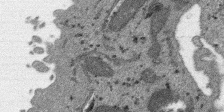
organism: Human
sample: Lung epithelial cells infected with SARS-CoV-2